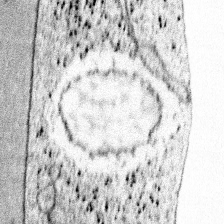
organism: Human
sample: HeLa cells